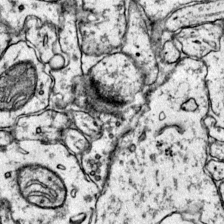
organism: Mouse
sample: Primary visual cortex